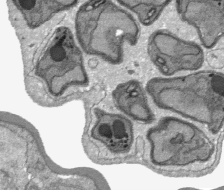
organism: Plasmodium falciparum